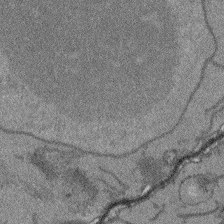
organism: Arabidopsis thaliana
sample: Root tip